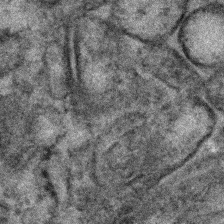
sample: Kidney